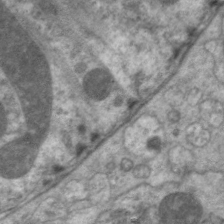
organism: C. elegans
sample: Pharynx